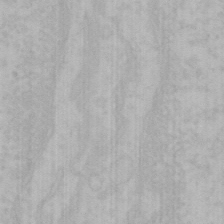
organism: Mouse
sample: Choroid plexus